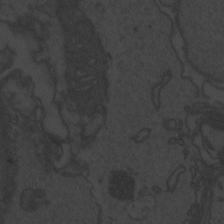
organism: Zebrafish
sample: Macrophage infected with Toxoplasma gondii